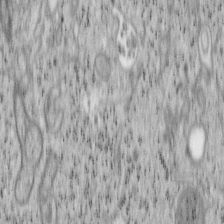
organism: Human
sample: HeLa cells